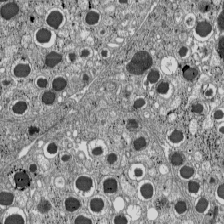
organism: C57BL Mouse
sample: Pancreatic islet